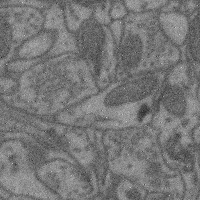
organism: Mouse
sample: Cerebral cortex